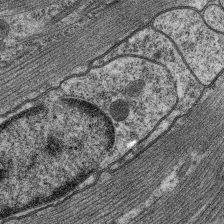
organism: C. elegans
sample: Pharynx